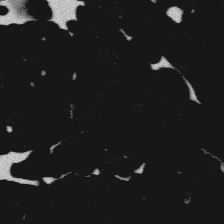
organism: Platynereis dumerilii